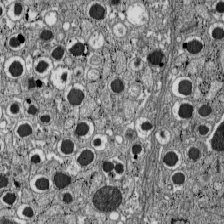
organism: C57BL Mouse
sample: Pancreatic islet